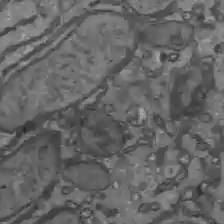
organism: C57BL Mouse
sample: Liver